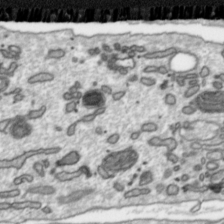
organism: Toxoplasma gondii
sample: Parasites in a vacuole inside a host cell